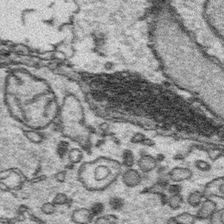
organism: Platynereis dumerilii